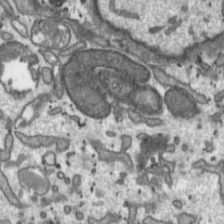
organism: Toxoplasma gondii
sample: Parasites in a vacuole inside a host cell